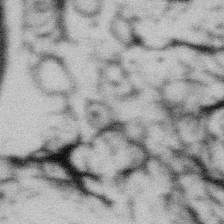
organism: Gemmata obscuriglobus